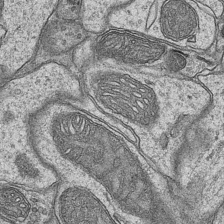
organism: Mouse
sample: CA1 Hippocampus